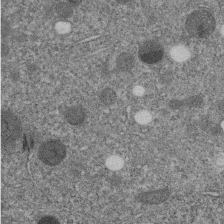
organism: C. elegans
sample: C. elegans embryo early stage